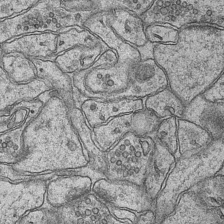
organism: Mouse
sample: CA1 Hippocampus